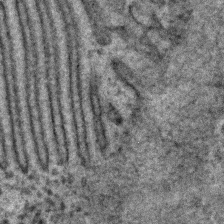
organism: C. elegans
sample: C. elegans embryo